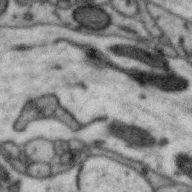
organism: Zebra finch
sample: Brain